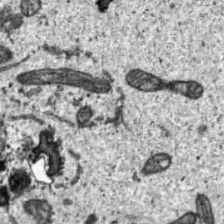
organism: Human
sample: HeLa cells